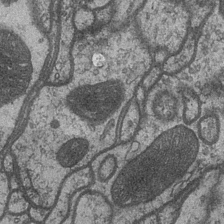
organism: Drosophila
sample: Optic medulla